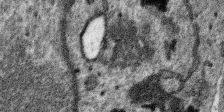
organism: Human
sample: Lung epithelial cells infected with SARS-CoV-2